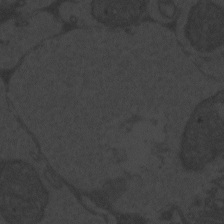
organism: Zebrafish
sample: Macrophage infected with Toxoplasma gondii